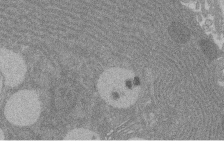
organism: Rat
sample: Salivary granule